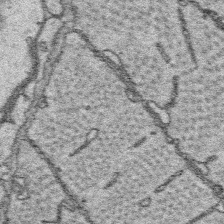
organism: Platynereis dumerilii